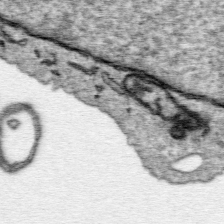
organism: Human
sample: HeLa cells